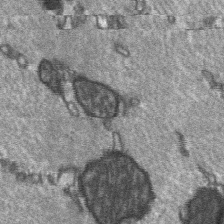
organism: C57BL Mouse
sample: Soleus